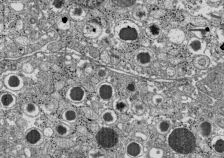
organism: C57BL Mouse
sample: Pancreatic islet